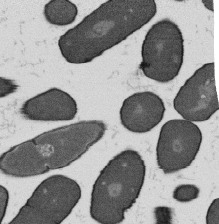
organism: B. subtilis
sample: Bacterial spore